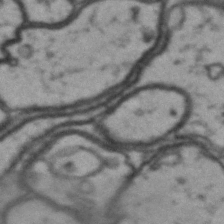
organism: Drosophila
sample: Brain